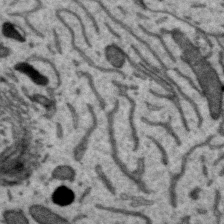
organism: Zebra finch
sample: Brain